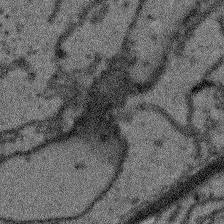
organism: Arabidopsis thaliana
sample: Root tip